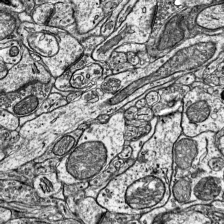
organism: Mouse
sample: Visual Cortex